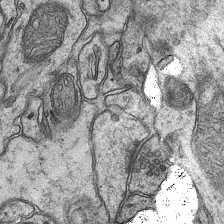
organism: Mouse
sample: CA1 Hippocampus